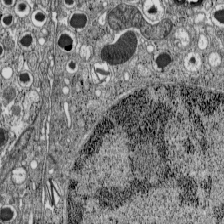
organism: C57BL Mouse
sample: Pancreatic islet